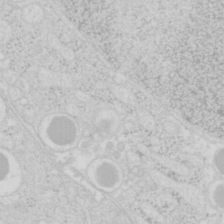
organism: Mouse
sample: Pancreas